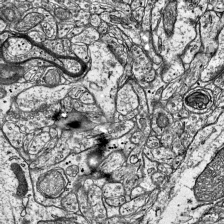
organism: Mouse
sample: Visual Cortex